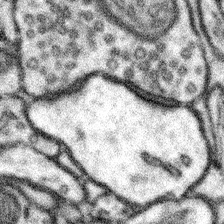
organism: Mouse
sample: Somatosensory cortex neuropil